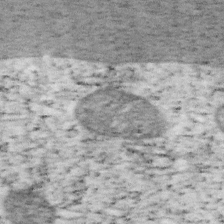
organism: Mouse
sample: OT-I killer T cells with ID8 ovarian cancer cells